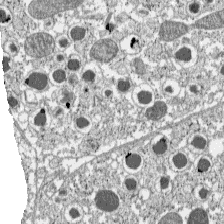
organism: C57BL Mouse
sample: Pancreatic islet